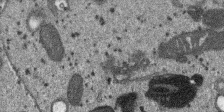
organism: Human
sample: Lung epithelial cells infected with SARS-CoV-2